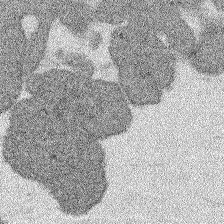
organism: Human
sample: HeLa cells